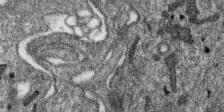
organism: Human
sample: Lung epithelial cells infected with SARS-CoV-2